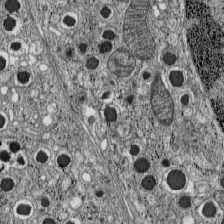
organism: C57BL Mouse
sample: Pancreatic islet